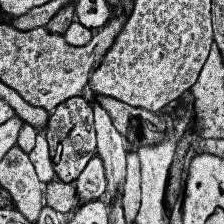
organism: Human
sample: Temporal Lobe